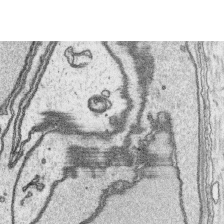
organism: Platynereis dumerilii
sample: Parapodia